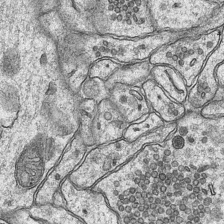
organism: Mouse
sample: CA1 Hippocampus